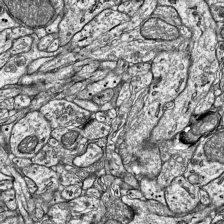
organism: Mouse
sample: Visual Cortex